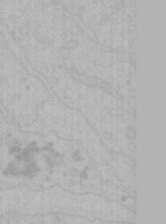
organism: Mouse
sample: Choroid plexus